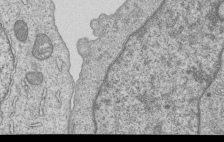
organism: Human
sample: MDA-MB-231 cells